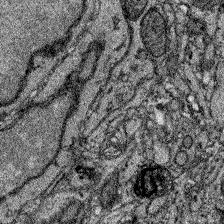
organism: Zebrafish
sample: Larval olfactory bulb